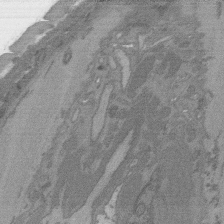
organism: C. elegans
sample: AFD neurons C. elegans